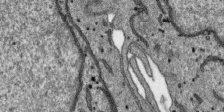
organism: Human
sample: Lung epithelial cells, uninfected (mock) control